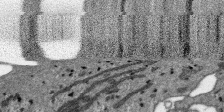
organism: Human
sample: Lung epithelial cells, uninfected (mock) control